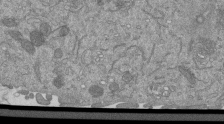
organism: Mouse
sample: ED-1 cell nuclei; centrioles